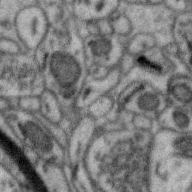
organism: Zebra finch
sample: Brain